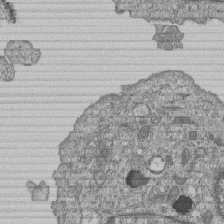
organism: Human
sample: MDA-MB-231 cells